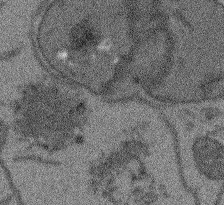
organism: Arabidopsis thaliana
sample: Root tip